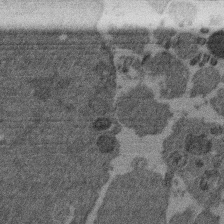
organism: Mouse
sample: Dividing mouse embryo 1 cell stage